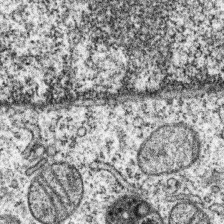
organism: Human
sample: HeLa cells